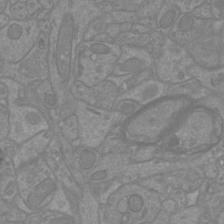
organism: Mouse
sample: Cortical neurons